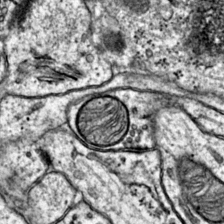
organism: Mouse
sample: Primary visual cortex